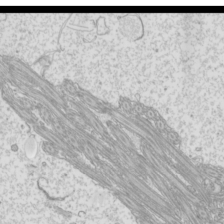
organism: Mouse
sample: Cilia; mouse epididymis